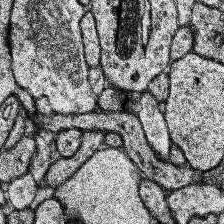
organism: Human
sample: Temporal Lobe